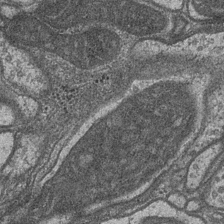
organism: Drosophila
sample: Optic medulla